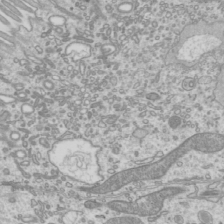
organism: Mouse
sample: Cilia; mouse epididymis